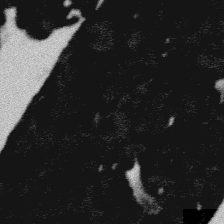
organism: Platynereis dumerilii